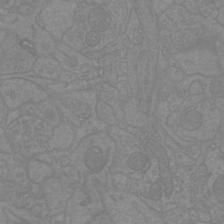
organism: Mouse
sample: Cortical neurons